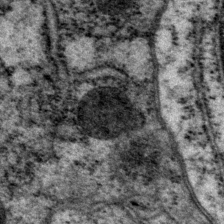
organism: P. pacificus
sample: Pharynx